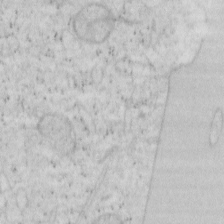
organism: Human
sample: HeLa cells